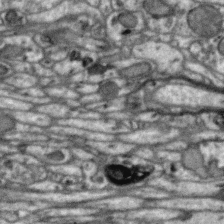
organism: Zebra finch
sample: Brain